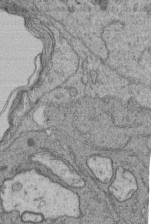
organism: Human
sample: Retinal organoid Rod and Cone cells